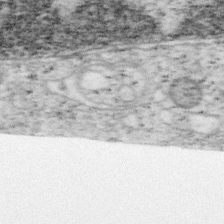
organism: Mouse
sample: OT-I killer T cells with ID8 ovarian cancer cells